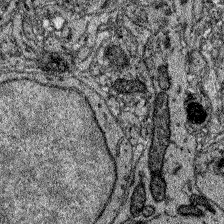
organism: Zebrafish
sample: Larval olfactory bulb